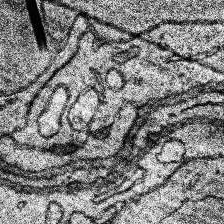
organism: Human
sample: Temporal Lobe